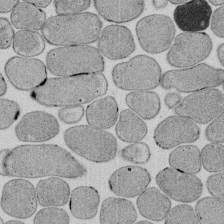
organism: E. coli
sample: Bacterial nucleoid